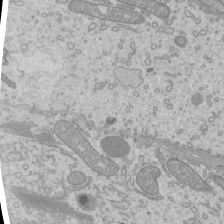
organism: Mouse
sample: Cilia; mouse epididymis